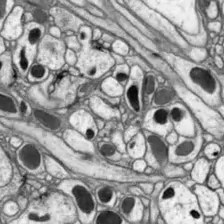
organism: Drosophila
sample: Optic lobe